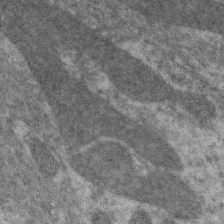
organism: C. elegans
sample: Pharynx